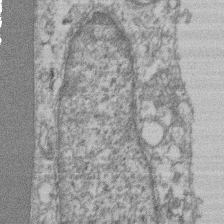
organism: Mouse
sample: T cell stromal cell synapse